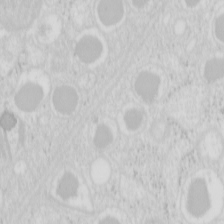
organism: Mouse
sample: Pancreas